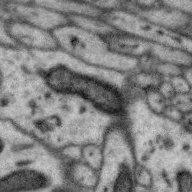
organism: Zebra finch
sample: Brain